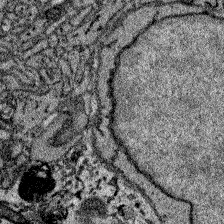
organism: Zebrafish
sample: Larval olfactory bulb